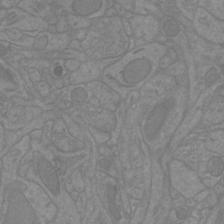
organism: Mouse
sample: Cortical neurons